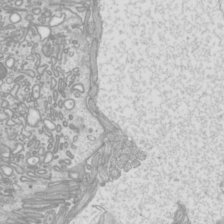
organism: Mouse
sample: Cilia; mouse epididymis